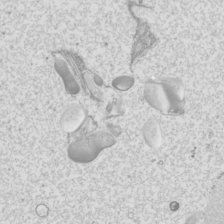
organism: Mouse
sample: Cilia; mouse epididymis